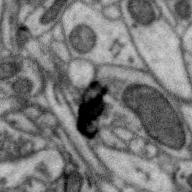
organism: Zebra finch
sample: Brain